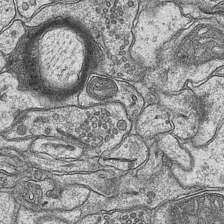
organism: Mouse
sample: CA1 Hippocampus